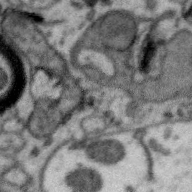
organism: Zebra finch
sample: Brain